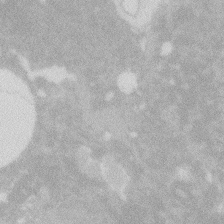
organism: Zebrafish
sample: Macrophage